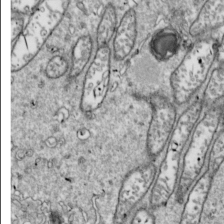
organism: Drosophila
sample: Cell division; meiosis; drosophila spermatocytes